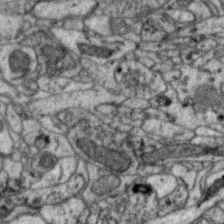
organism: Zebra finch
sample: Brain